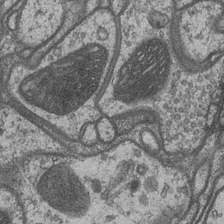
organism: Drosophila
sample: Optic medulla